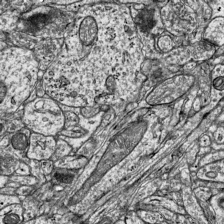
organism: Mouse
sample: Visual Cortex